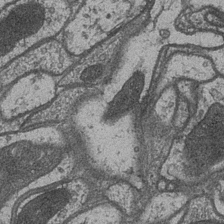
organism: Drosophila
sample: Optic medulla